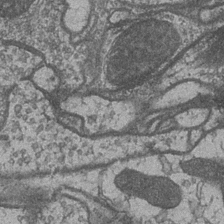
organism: Drosophila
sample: Optic medulla